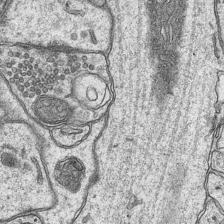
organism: Mouse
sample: CA1 Hippocampus